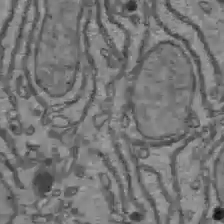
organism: C57BL Mouse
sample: Liver